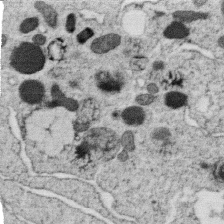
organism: C. elegans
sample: C. elegans oocyte; sperm cells